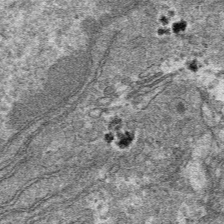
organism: Mouse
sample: Mouse hepatocytes